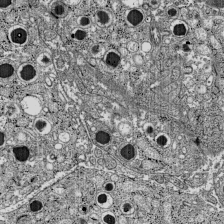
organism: C57BL Mouse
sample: Pancreatic islet